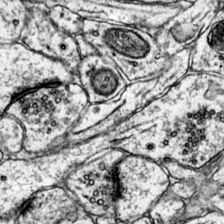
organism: Mouse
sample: Primary visual cortex